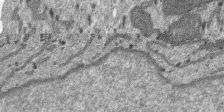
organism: Human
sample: Lung epithelial cells infected with SARS-CoV-2